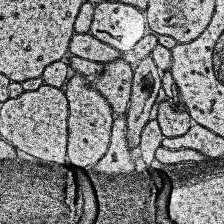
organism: Human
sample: Temporal Lobe